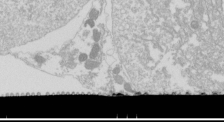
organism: Drosophila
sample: Cell division; meiosis; drosophila spermatocytes